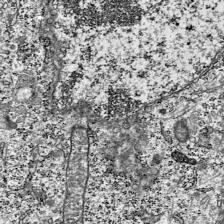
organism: Mouse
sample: Visual Cortex